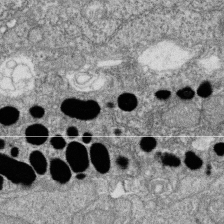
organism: Zebrafish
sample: Cilia; retinal pigment epithelium